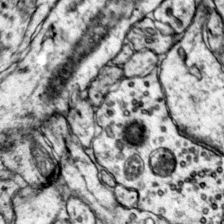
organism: Mouse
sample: Primary visual cortex